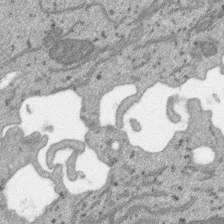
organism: Human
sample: Lung epithelial cells infected with SARS-CoV-2